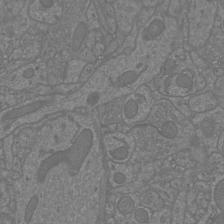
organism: Mouse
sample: Cortical neurons